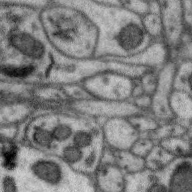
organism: Zebra finch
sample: Brain